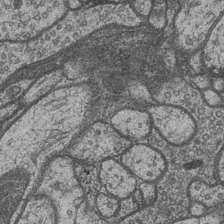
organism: Drosophila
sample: Optic medulla